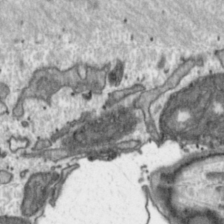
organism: Toxoplasma gondii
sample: Parasites in a vacuole inside a host cell